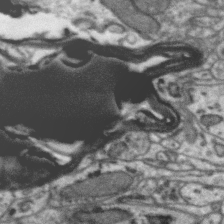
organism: Zebra finch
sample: Brain